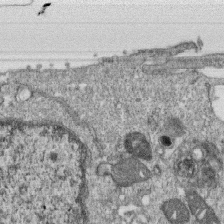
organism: African green monkey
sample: Vero E6 cells infected with SARS-CoV-2